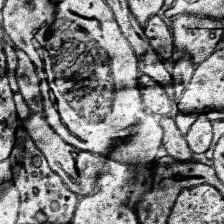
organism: Human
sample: Temporal Lobe